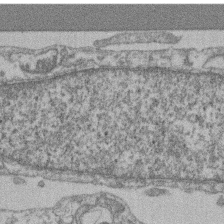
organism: Mouse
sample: T cell stromal cell synapse